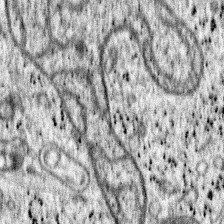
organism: Human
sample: HeLa cells